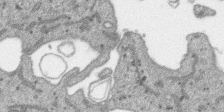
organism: Human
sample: Lung epithelial cells infected with SARS-CoV-2